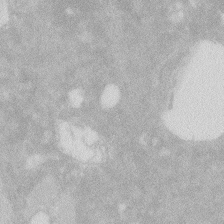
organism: Zebrafish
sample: Macrophage